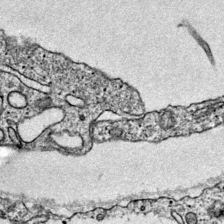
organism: Mouse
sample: Primary visual cortex